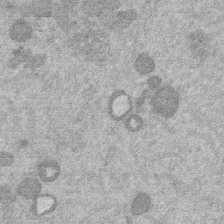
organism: Mouse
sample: Dividing mouse embryo 1 cell stage